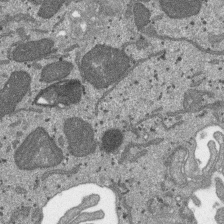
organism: Human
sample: Lung epithelial cells infected with SARS-CoV-2